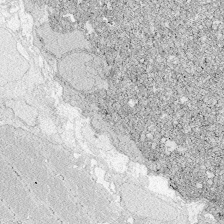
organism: Zebrafish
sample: Whole-Brain